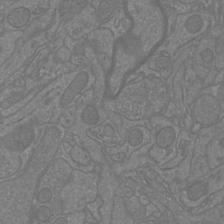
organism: Mouse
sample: Cortical neurons